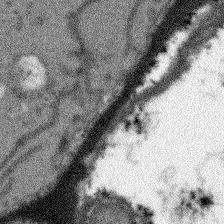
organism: Arabidopsis thaliana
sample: Root tip